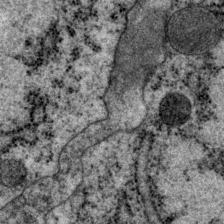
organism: P. pacificus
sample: Pharynx